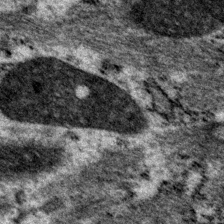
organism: P. pacificus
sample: Pharynx